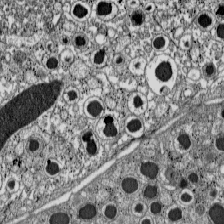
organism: C57BL Mouse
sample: Pancreatic islet